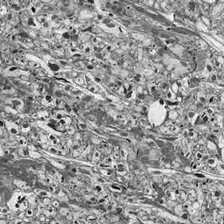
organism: Drosophila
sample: Optic lobe